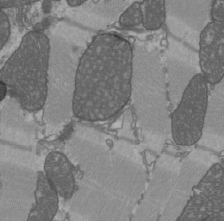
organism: C57BL Mouse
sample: Heart